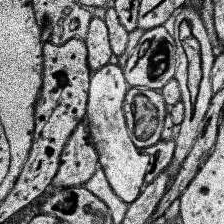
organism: Human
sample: Temporal Lobe